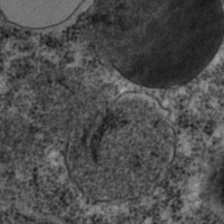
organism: C. elegans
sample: C. elegans embryo